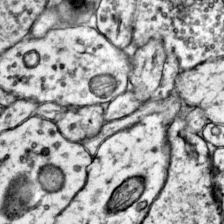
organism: Mouse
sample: Primary visual cortex